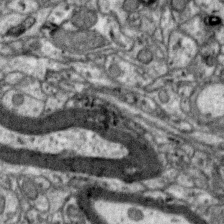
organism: Zebra finch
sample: Brain